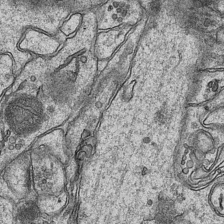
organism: Mouse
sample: CA1 Hippocampus